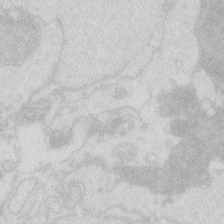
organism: Zebrafish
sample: Macrophage